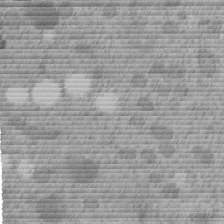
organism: C. elegans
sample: C. elegans embryo early stage